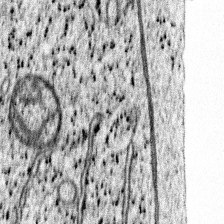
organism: Human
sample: HeLa cells